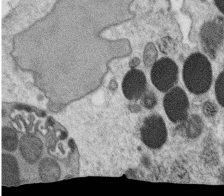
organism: C. elegans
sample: C. elegans oocyte; sperm cells